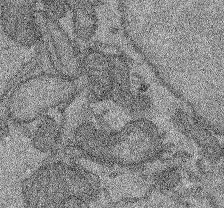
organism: Human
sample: HeLa cells